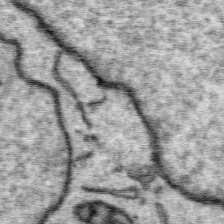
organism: Human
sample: HeLa cells